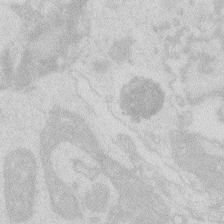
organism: Zebrafish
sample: Macrophage